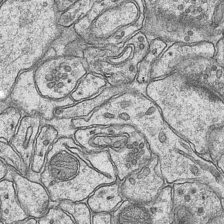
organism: Mouse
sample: CA1 Hippocampus